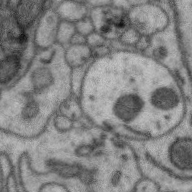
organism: Zebra finch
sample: Brain